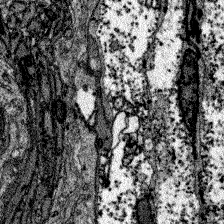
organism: Zebrafish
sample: Larval olfactory bulb